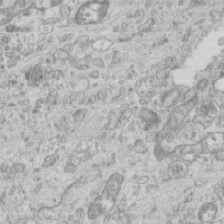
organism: Mouse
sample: Centriole in ependymal cells